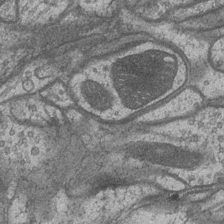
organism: Drosophila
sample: Optic medulla